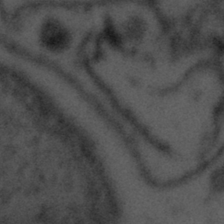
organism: Tuwongella immobilis